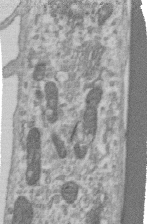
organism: Human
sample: Centriole in RPE cells